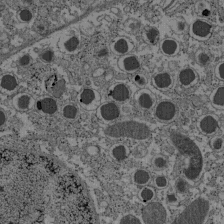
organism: C57BL Mouse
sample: Pancreatic islet